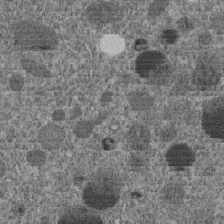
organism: C. elegans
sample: C. elegans embryo early stage